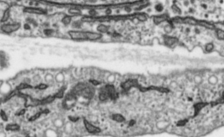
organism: Toxoplasma gondii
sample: Parasites in a vacuole inside a host cell